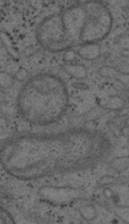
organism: Human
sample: HeLa cells